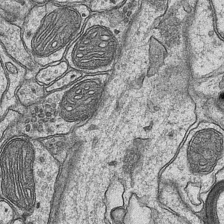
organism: Mouse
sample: CA1 Hippocampus